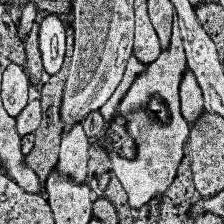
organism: Human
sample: Temporal Lobe